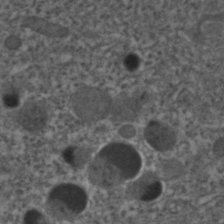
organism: C. elegans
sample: C. elegans embryo